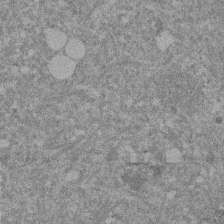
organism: Mouse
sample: Dividing mouse embryo 1 cell stage